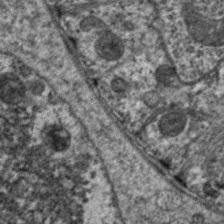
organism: C. elegans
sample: Pharynx